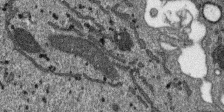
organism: Human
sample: Lung epithelial cells infected with SARS-CoV-2